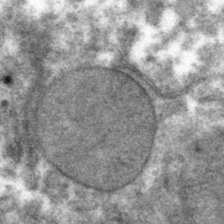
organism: Mouse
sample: Mouse hepatocytes